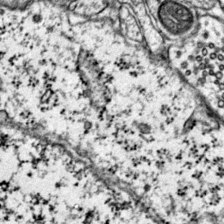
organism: Mouse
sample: Primary visual cortex